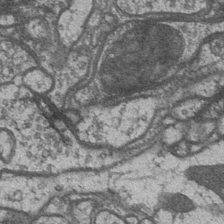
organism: Drosophila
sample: Optic medulla